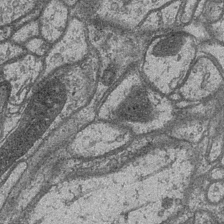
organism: Drosophila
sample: Optic medulla